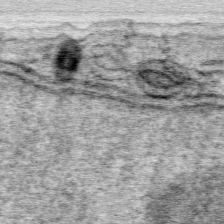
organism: Human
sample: HeLa cells